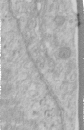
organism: Human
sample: Centriole in RPE cells